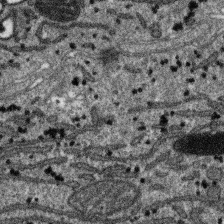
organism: Human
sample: Lung epithelial cells infected with SARS-CoV-2